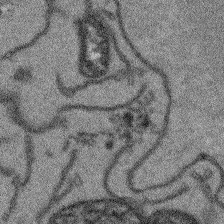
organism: Arabidopsis thaliana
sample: Root tip